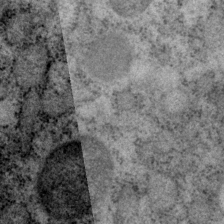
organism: P. pacificus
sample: Pharynx